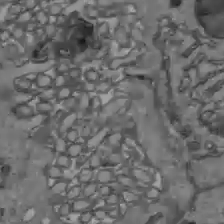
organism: C57BL Mouse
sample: Liver